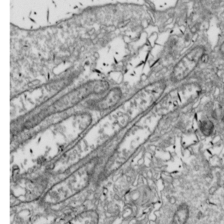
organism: Drosophila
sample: Cell division; meiosis; drosophila spermatocytes